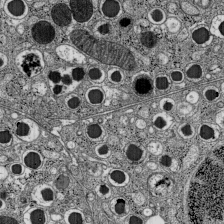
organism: C57BL Mouse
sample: Pancreatic islet